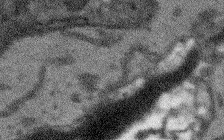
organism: Arabidopsis thaliana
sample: Root tip